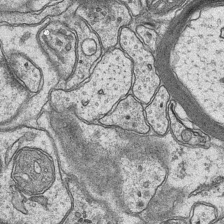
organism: Mouse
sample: CA1 Hippocampus